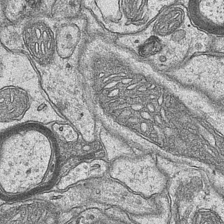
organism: Mouse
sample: CA1 Hippocampus